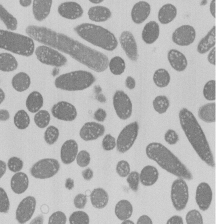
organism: E. coli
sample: Bacterial nucleoid